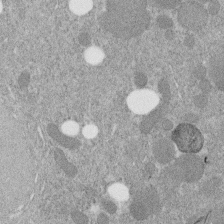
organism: C. elegans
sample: C. elegans embryo early stage